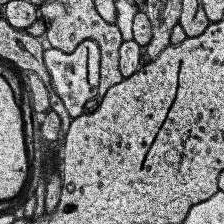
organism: Human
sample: Temporal Lobe